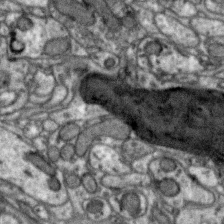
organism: Zebra finch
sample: Brain